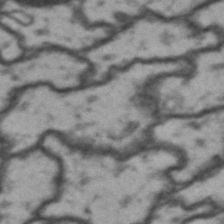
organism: Drosophila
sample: Brain